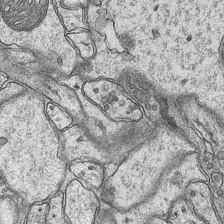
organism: Mouse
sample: CA1 Hippocampus